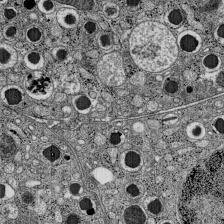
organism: C57BL Mouse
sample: Pancreatic islet